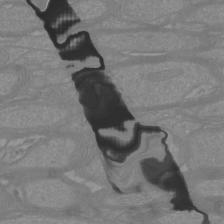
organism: Mouse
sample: Cortical neurons